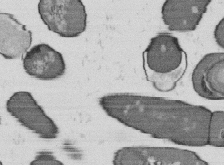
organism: B. subtilis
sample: Bacterial spore